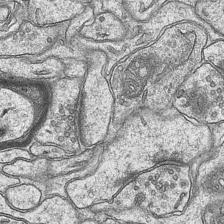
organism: Mouse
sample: CA1 Hippocampus